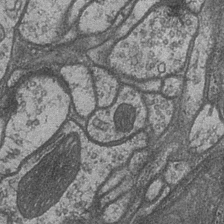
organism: Drosophila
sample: Optic medulla